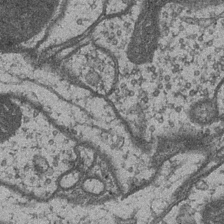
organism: Drosophila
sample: Optic medulla